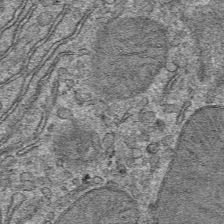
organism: Mouse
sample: Mouse hepatocytes